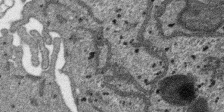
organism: Human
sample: Lung epithelial cells infected with SARS-CoV-2